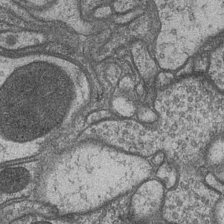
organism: Drosophila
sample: Optic medulla